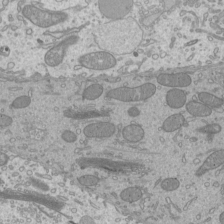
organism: Mouse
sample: Cilia; mouse epididymis